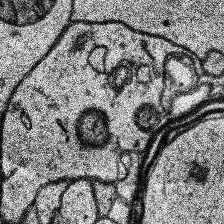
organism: Human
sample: Temporal Lobe